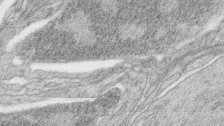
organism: Zebrafish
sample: synaptic ribbons in rod cells and cone cells